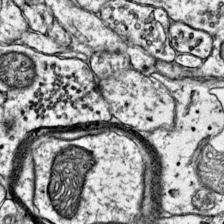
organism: Mouse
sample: Primary visual cortex